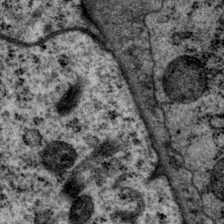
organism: P. pacificus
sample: Pharynx